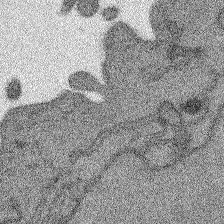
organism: Human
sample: HeLa cells